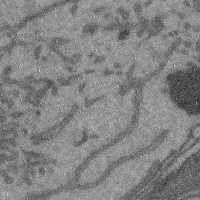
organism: Mouse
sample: Cerebral cortex